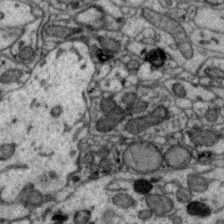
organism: Zebra finch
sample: Brain